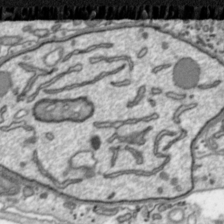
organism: Toxoplasma gondii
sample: Parasites in a vacuole inside a host cell